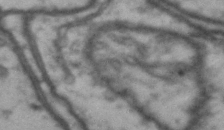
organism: Drosophila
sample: Brain